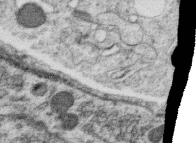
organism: C. elegans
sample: C. elegans oocyte; sperm cells